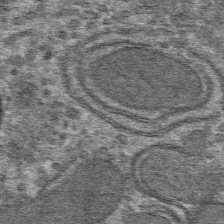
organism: Mouse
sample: Mouse hepatocytes